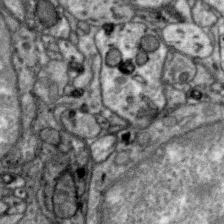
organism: Zebra finch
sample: Brain